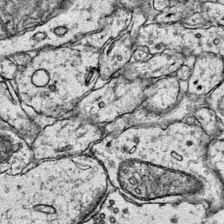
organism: Mouse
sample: Primary visual cortex